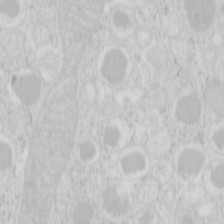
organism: Mouse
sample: Pancreas